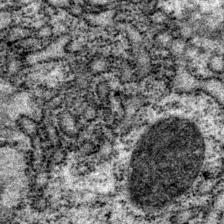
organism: P. pacificus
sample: Pharynx